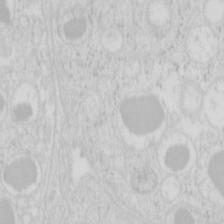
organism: Mouse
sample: Pancreas